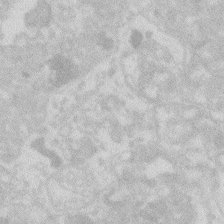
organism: Zebrafish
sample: Macrophage